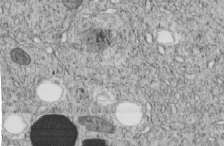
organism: C. elegans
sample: C. elegans embryo early stage